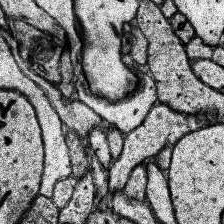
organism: Human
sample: Temporal Lobe